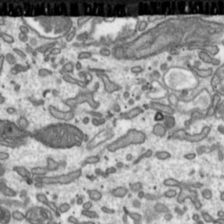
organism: Toxoplasma gondii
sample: Parasites in a vacuole inside a host cell